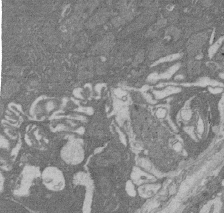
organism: Rat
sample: Salivary granule